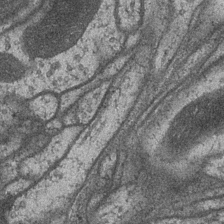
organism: Drosophila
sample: Optic medulla